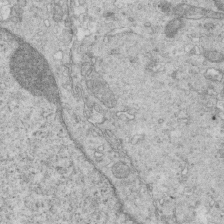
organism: Mouse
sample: Multiciliated cells